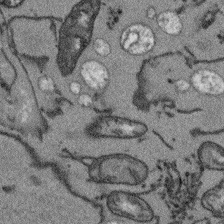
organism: Arabidopsis thaliana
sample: Root tip